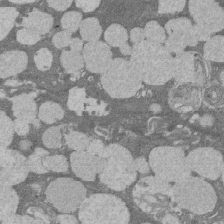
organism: Rat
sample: Salivary granule